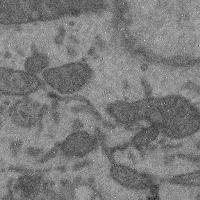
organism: Mouse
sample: Cerebral cortex